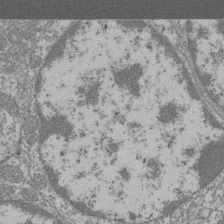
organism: Mouse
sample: Glomerulus